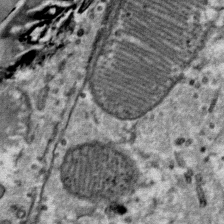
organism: Mouse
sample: Mouse Salivary gland